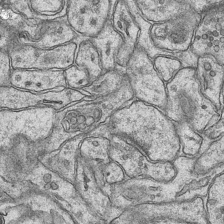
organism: Mouse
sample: CA1 Hippocampus